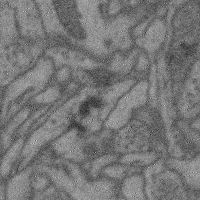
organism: Mouse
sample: Cerebral cortex